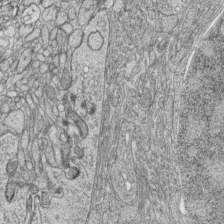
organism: Zebrafish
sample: synaptic ribbons in rod cells and cone cells